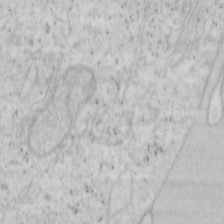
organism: Human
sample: HeLa cells